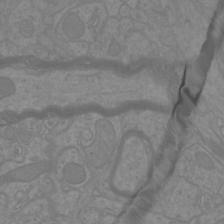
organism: Mouse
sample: Cortical neurons